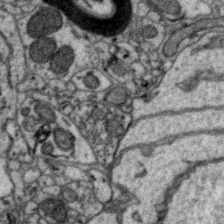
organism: Zebra finch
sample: Brain